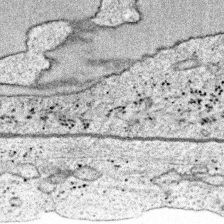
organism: Human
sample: HeLa cells